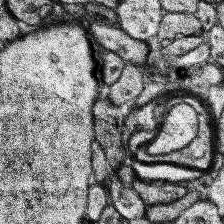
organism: Human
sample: Temporal Lobe